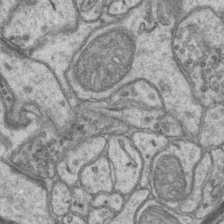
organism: Mouse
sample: CA1 Hippocampus